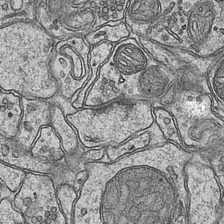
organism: Mouse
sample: CA1 Hippocampus